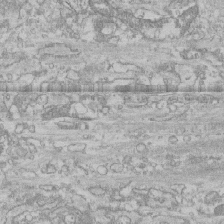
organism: Human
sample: CRL-1474